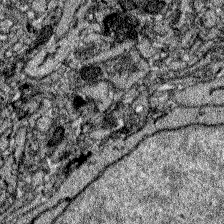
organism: Zebrafish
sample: Larval olfactory bulb